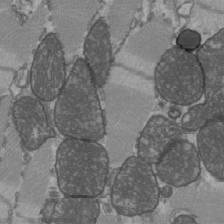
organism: C57BL Mouse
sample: Heart